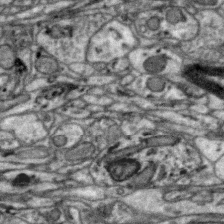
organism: Zebra finch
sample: Brain